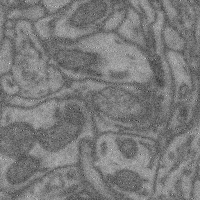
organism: Mouse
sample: Cerebral cortex